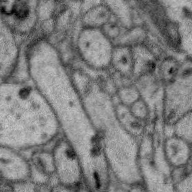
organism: Zebra finch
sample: Brain